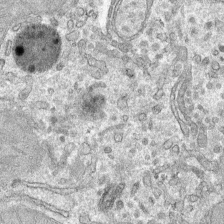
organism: Mouse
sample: Mouse hepatocytes